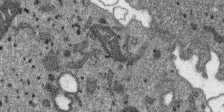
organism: Human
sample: Lung epithelial cells infected with SARS-CoV-2